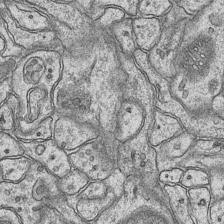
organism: Mouse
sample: CA1 Hippocampus